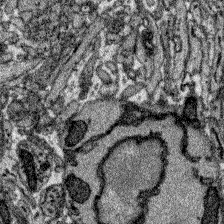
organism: Zebrafish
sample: Larval olfactory bulb